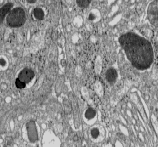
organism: C57BL Mouse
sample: Pancreatic islet